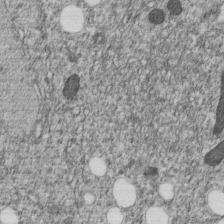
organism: C. elegans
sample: C. elegans embryo early stage